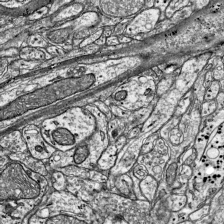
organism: Mouse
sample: Visual Cortex